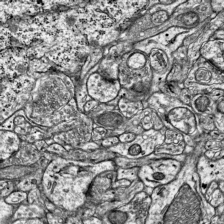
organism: Mouse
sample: Visual Cortex